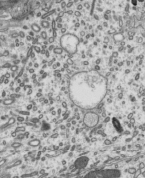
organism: Mouse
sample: Mouse epididymis efferent ductule cilia